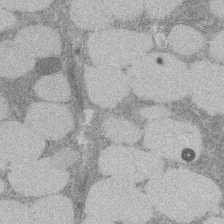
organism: Rat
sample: Salivary granule